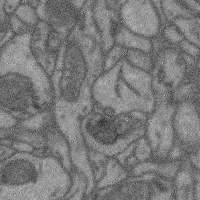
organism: Mouse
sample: Cerebral cortex